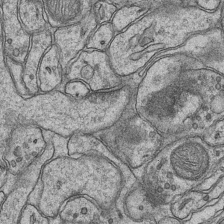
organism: Mouse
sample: CA1 Hippocampus